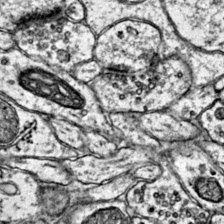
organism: Mouse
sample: Primary visual cortex